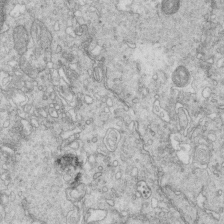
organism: Mouse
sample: Multiciliated cells